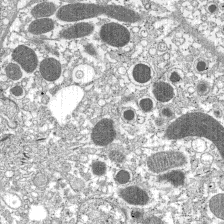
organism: C57BL Mouse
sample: Pancreatic islet